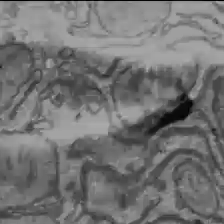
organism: C57BL Mouse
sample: Liver